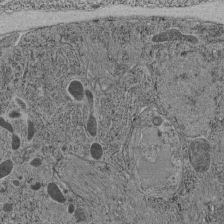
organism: C. elegans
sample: C. elegans pharynx